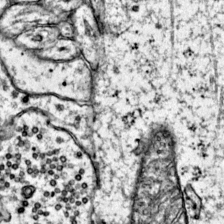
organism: Mouse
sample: Primary visual cortex